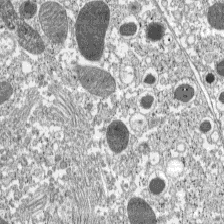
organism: C57BL Mouse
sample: Pancreatic islet